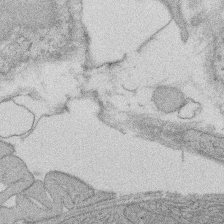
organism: Rat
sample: Salivary granule